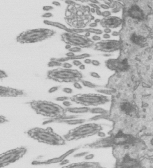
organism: Mouse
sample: Mouse epididymis efferent ductule cilia